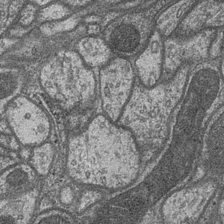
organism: Drosophila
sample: Optic medulla